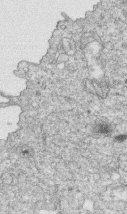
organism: Human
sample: HeLa cell HIV synapse